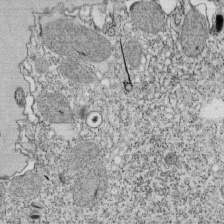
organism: Tetrahymena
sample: Cilia in tetrahymena